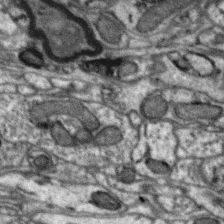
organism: Zebra finch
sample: Brain